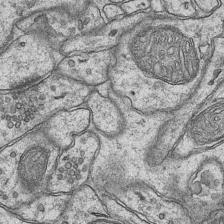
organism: Mouse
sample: CA1 Hippocampus